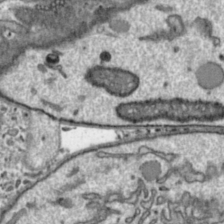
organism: Toxoplasma gondii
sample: Parasites in a vacuole inside a host cell